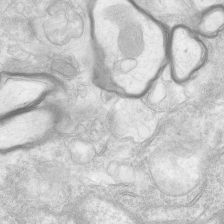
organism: Human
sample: Neocortex